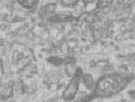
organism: Human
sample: Centriole in RPE cells